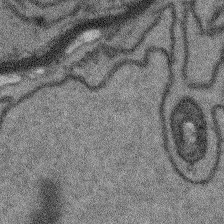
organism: Arabidopsis thaliana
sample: Root tip